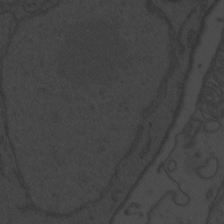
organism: Zebrafish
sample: Macrophage infected with Toxoplasma gondii